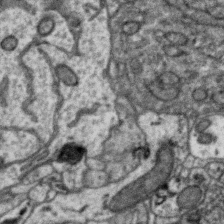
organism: Zebra finch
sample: Brain